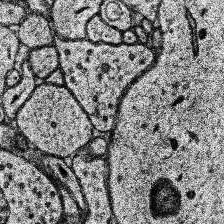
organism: Human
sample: Temporal Lobe